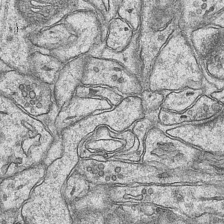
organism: Mouse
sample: CA1 Hippocampus